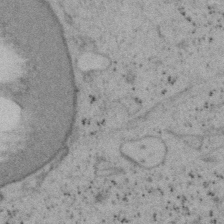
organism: Human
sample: HeLa cells